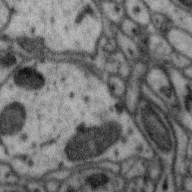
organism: Zebra finch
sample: Brain